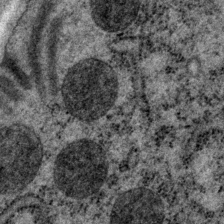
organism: P. pacificus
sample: Pharynx